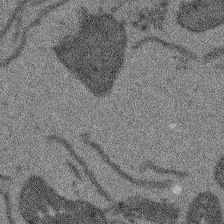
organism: Arabidopsis thaliana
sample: Root tip